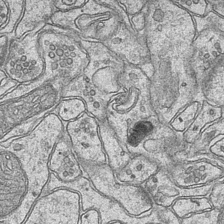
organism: Mouse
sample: CA1 Hippocampus